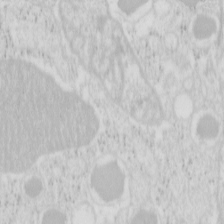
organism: Mouse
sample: Pancreas